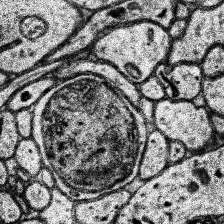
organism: Human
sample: Temporal Lobe